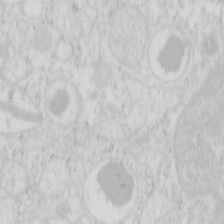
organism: Mouse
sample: Pancreas